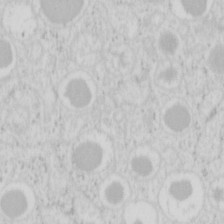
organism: Mouse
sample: Pancreas